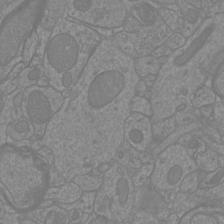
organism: Mouse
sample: Cortical neurons